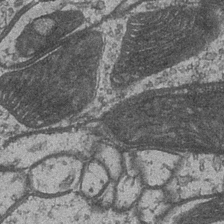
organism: Drosophila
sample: Optic medulla